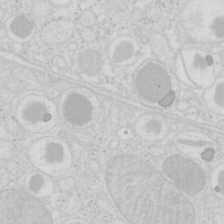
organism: Mouse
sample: Pancreas